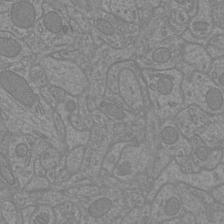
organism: Mouse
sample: Cortical neurons